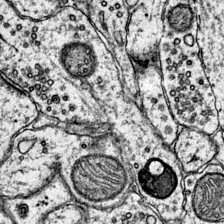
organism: Mouse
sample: Primary visual cortex